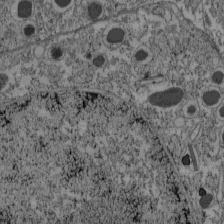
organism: C57BL Mouse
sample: Pancreatic islet